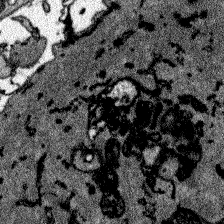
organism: Zebrafish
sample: Larval olfactory bulb